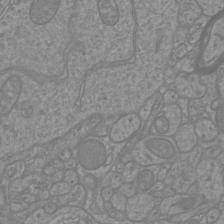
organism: Mouse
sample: Cortical neurons